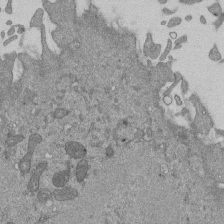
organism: Mouse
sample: ED-1 cell nuclei; centrioles